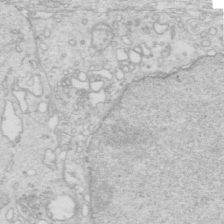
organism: Mouse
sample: Multiciliated cells